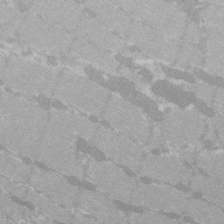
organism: C57BL Mouse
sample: Tibialis anterior muscle cell